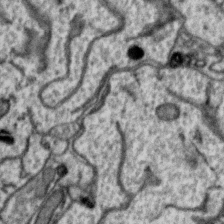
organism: Zebra finch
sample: Brain